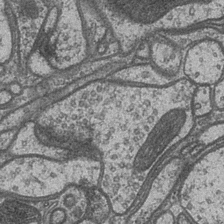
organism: Drosophila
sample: Optic medulla